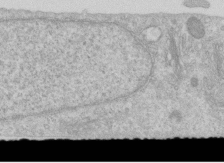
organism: Human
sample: Centriole in RPE cells